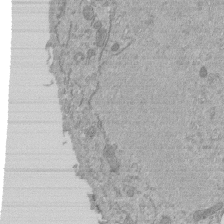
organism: Mouse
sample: ED-1 cell nuclei; centrioles